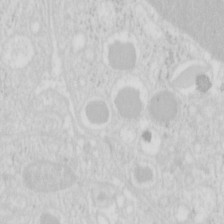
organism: Mouse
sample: Pancreas